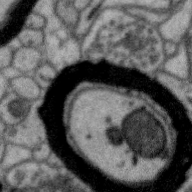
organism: Zebra finch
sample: Brain